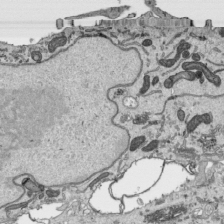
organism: Human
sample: Mitochondria in HCT116 cells